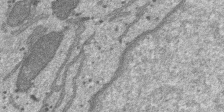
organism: Human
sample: Lung epithelial cells infected with SARS-CoV-2